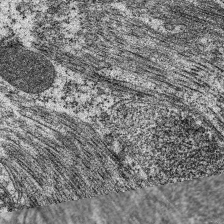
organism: C. elegans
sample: Pharynx